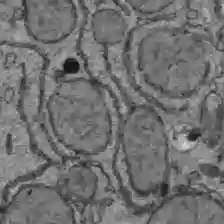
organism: C57BL Mouse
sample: Liver